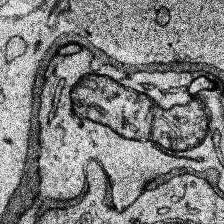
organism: Human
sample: Temporal Lobe